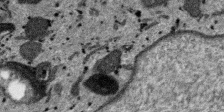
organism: Human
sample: Lung epithelial cells, uninfected (mock) control